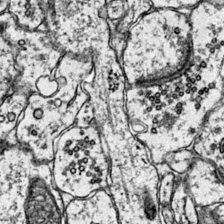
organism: Mouse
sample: Primary visual cortex